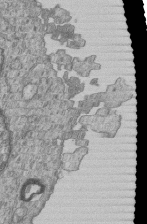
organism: Human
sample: MDA-MB-231 cells